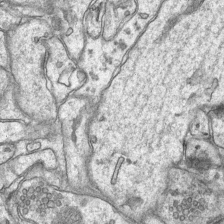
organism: Mouse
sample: CA1 Hippocampus